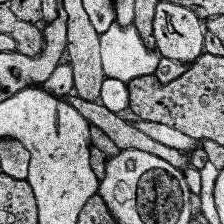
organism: Human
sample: Temporal Lobe